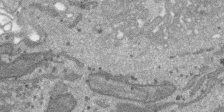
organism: Human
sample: Lung epithelial cells infected with SARS-CoV-2